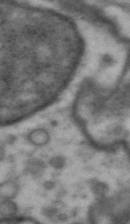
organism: Drosophila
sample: Brain